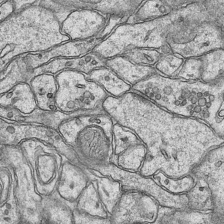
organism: Mouse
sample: CA1 Hippocampus